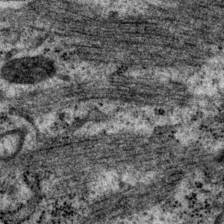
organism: P. pacificus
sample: Pharynx